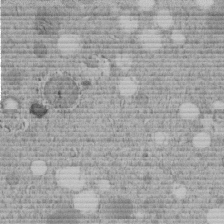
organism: C. elegans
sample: C. elegans embryo early stage